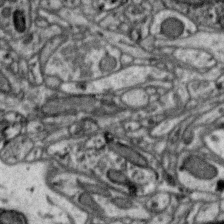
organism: Zebra finch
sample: Brain